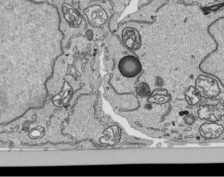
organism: Human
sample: Mitochondria in HCT116 cells